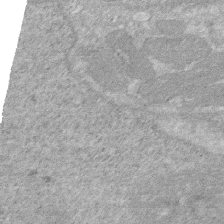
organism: Human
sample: HIV infected U937 cells